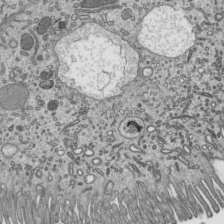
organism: Mouse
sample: Mouse epididymis efferent ductule cilia